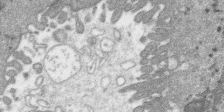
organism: Human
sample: Lung epithelial cells infected with SARS-CoV-2